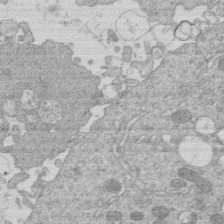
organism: Human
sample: Macrophage cells